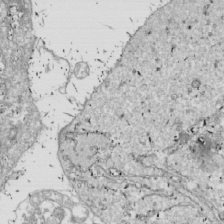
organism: Drosophila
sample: Cell division; meiosis; drosophila spermatocytes